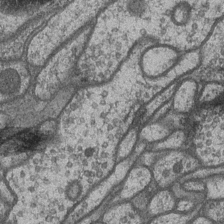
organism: Drosophila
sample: Optic medulla